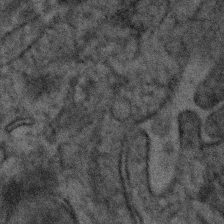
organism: Human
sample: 1205lu cells